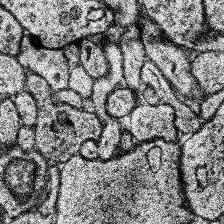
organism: Human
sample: Temporal Lobe